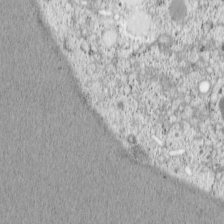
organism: African green monkey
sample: COS-7 cells